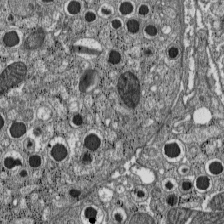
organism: C57BL Mouse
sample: Pancreatic islet